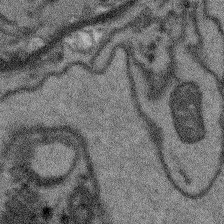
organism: Arabidopsis thaliana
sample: Root tip